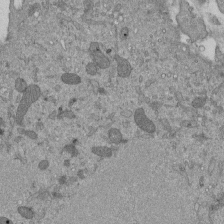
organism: Mouse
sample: ED-1 cell nuclei; centrioles